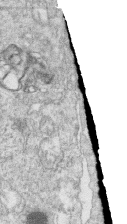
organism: Human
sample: HeLa cell HIV synapse